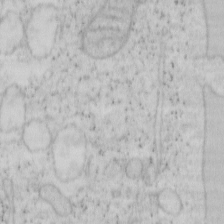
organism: Human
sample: HeLa cells